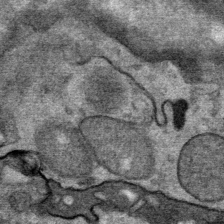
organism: Mouse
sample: Mouse Salivary gland